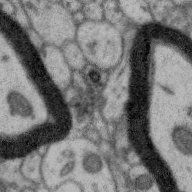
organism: Zebra finch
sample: Brain